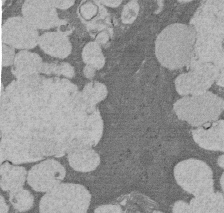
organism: Rat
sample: Salivary granule